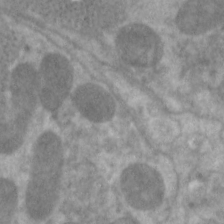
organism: C. elegans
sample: Pharynx